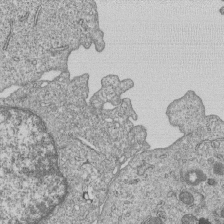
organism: Human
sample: MDA-MB-231 cells